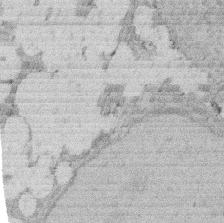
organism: Rat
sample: Salivary granule